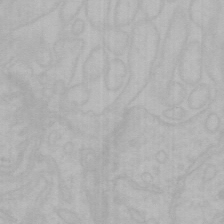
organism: Mouse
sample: Choroid plexus